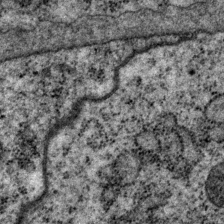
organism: P. pacificus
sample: Pharynx